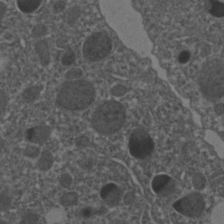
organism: C. elegans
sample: C. elegans embryo